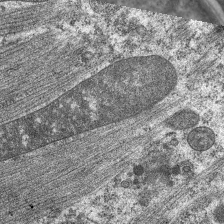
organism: C. elegans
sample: Pharynx